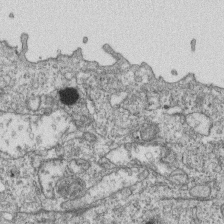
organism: Human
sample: HeLa cell HIV synapse